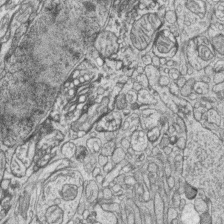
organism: Zebrafish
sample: synaptic ribbons in rod cells and cone cells